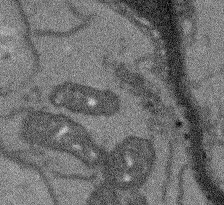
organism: Arabidopsis thaliana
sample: Root tip